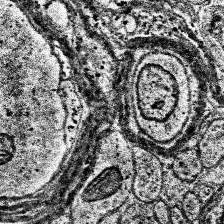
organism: Human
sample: Temporal Lobe